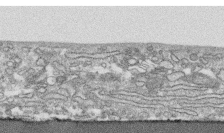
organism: Human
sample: CRL-1474